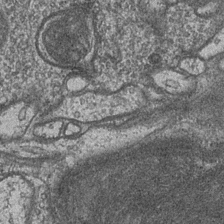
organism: Drosophila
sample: Optic medulla